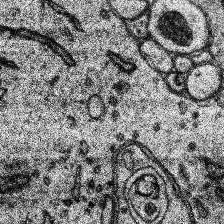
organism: Human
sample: Temporal Lobe